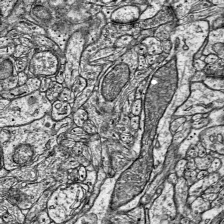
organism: Mouse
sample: Visual Cortex